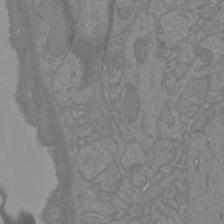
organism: Mouse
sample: Cortical neurons